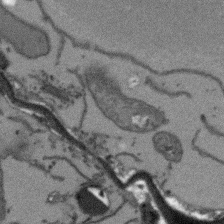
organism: Arabidopsis thaliana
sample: Root tip